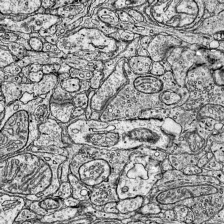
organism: Mouse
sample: Visual Cortex